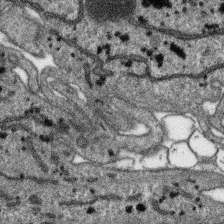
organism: Human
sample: Lung epithelial cells infected with SARS-CoV-2